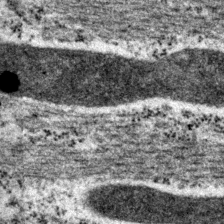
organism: P. pacificus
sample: Pharynx